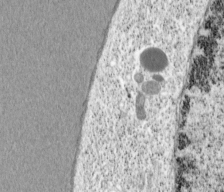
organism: African green monkey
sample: COS-7 cells